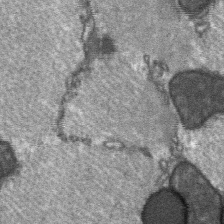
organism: C57BL Mouse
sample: Soleus